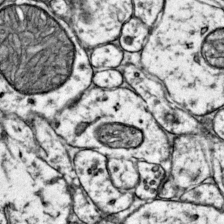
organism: Mouse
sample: Primary visual cortex